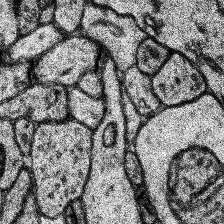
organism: Human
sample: Temporal Lobe